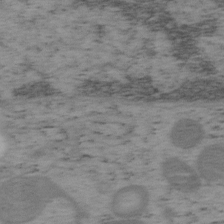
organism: Mouse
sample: OT-I killer T cells with ID8 ovarian cancer cells